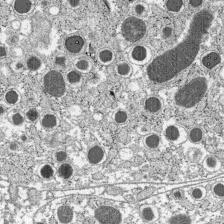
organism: C57BL Mouse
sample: Pancreatic islet